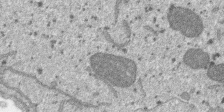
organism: Human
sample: Lung epithelial cells infected with SARS-CoV-2